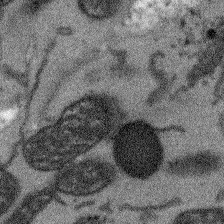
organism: Arabidopsis thaliana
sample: Root tip